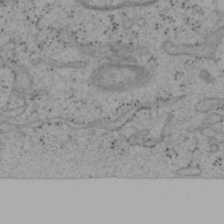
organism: Human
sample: HeLa cells